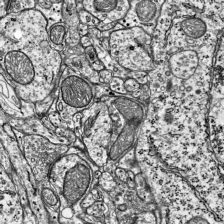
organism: Mouse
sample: Visual Cortex